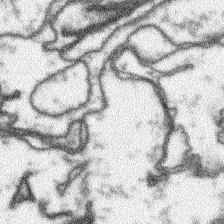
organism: Arabidopsis thaliana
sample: Root tip